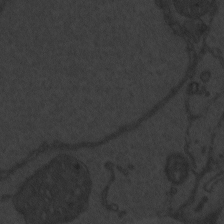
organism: Zebrafish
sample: Macrophage infected with Toxoplasma gondii